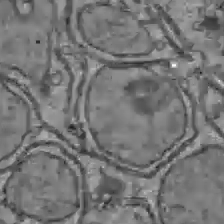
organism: C57BL Mouse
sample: Liver